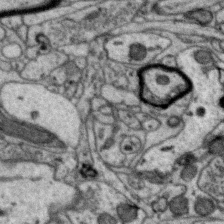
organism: Zebra finch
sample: Brain